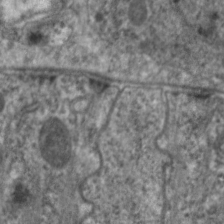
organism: C. elegans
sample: Pharynx